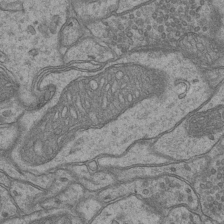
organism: Mouse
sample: CA1 Hippocampus